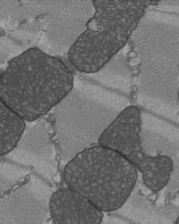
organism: C57BL Mouse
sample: Heart